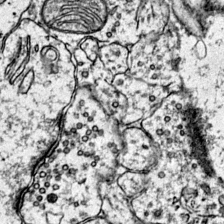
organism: Mouse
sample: Primary visual cortex